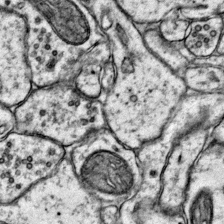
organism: Mouse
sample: Primary visual cortex